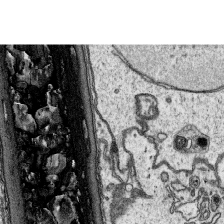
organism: Platynereis dumerilii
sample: Parapodia